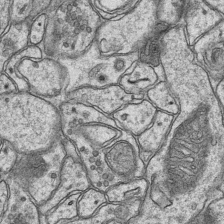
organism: Mouse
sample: CA1 Hippocampus